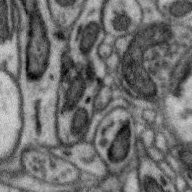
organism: Zebra finch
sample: Brain